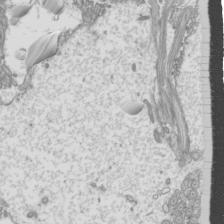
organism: Mouse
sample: Cilia; mouse epididymis